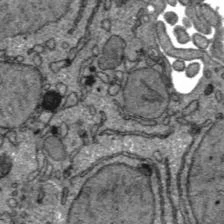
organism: C57BL Mouse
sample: Liver